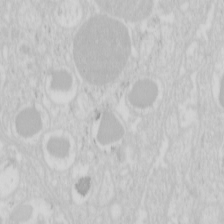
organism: Mouse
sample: Pancreas